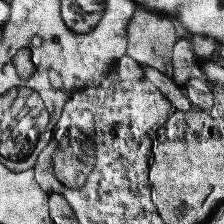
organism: Human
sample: Temporal Lobe